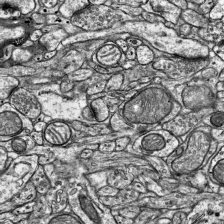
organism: Mouse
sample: Visual Cortex